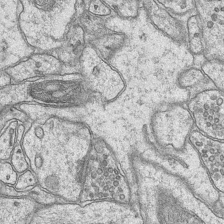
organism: Mouse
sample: CA1 Hippocampus